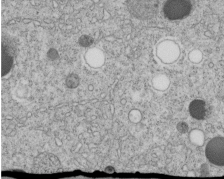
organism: C. elegans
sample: C. elegans embryo early stage